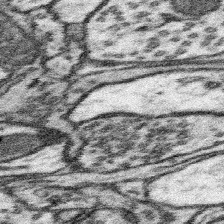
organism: Mouse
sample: Somatosensory cortex neuropil